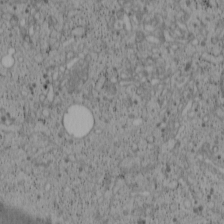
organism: African green monkey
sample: COS-7 cells